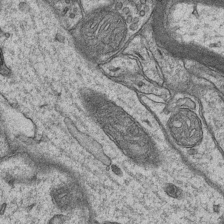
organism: Mouse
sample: CA1 Hippocampus